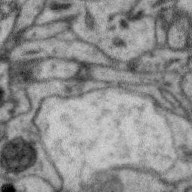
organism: Zebra finch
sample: Brain